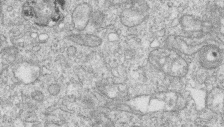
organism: Human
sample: HeLa cell HIV synapse